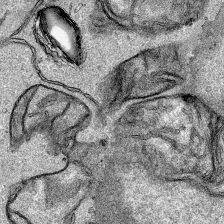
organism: Human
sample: Mitochondria in HCT116 cells